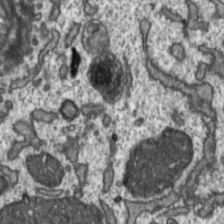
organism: Toxoplasma gondii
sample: Parasites in a vacuole inside a host cell